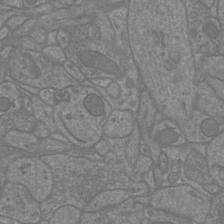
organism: Mouse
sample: Cortical neurons